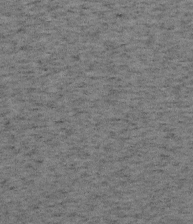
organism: Mouse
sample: OT-I killer T cells with ID8 ovarian cancer cells